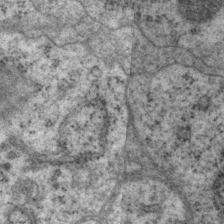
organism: P. pacificus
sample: Pharynx